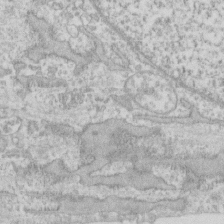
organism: Human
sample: Fibroblast cells